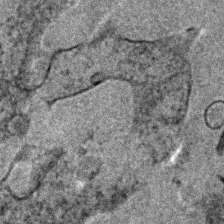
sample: Trachea